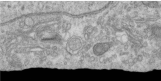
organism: Human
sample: Centriole in RPE cells